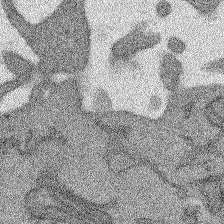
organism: Human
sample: HeLa cells